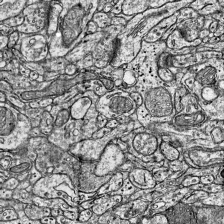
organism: Mouse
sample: Visual Cortex